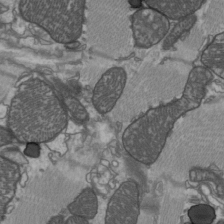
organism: C57BL Mouse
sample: Heart